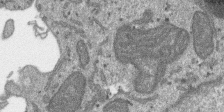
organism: Human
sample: Lung epithelial cells infected with SARS-CoV-2